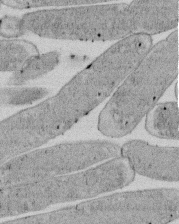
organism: E. coli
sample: Bacterial nucleoid